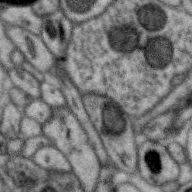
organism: Zebra finch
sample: Brain